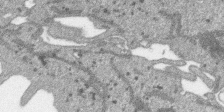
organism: Human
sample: Lung epithelial cells infected with SARS-CoV-2